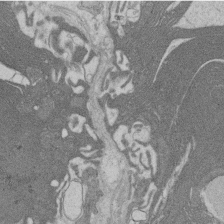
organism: Rat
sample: Salivary granule